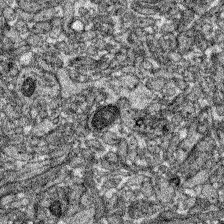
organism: Zebrafish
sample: Larval olfactory bulb